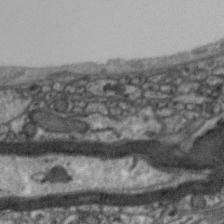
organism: Zebra finch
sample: Brain